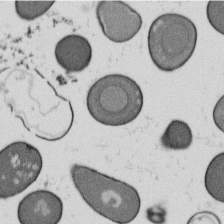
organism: B. subtilis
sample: Bacterial spore